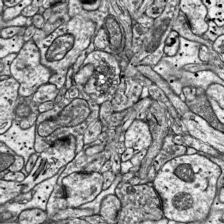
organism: Mouse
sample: Visual Cortex